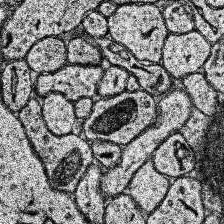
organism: Human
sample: Temporal Lobe